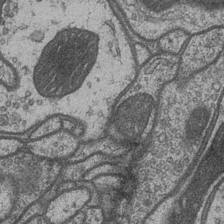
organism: Drosophila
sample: Optic medulla